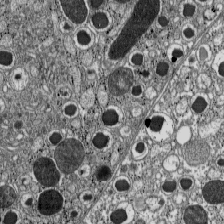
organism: C57BL Mouse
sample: Pancreatic islet